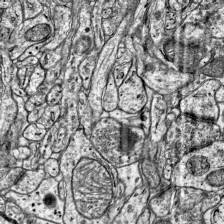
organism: Mouse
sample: Visual Cortex